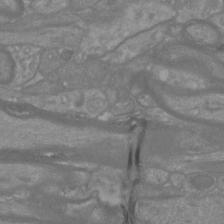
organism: Mouse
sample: Cortical neurons